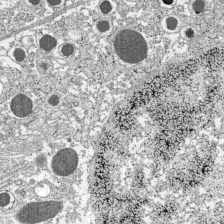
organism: C57BL Mouse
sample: Pancreatic islet